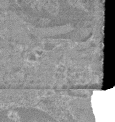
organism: Mouse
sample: Glomerulus